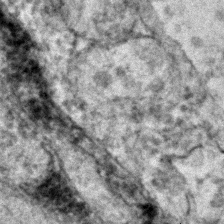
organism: Zebrafish